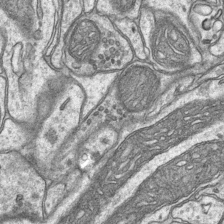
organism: Mouse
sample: CA1 Hippocampus